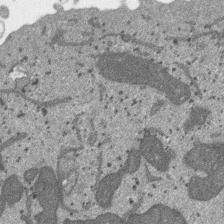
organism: Human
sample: Lung epithelial cells infected with SARS-CoV-2